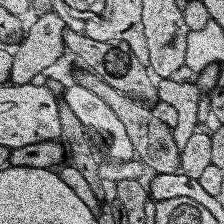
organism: Human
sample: Temporal Lobe